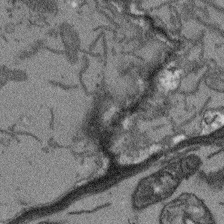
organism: Arabidopsis thaliana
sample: Root tip